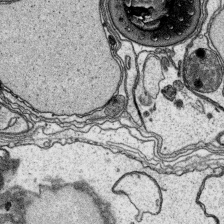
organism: Platynereis dumerilii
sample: Parapodia